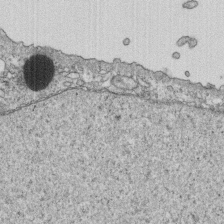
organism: Human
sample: HeLa cell HIV synapse